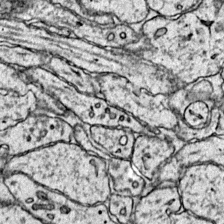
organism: Mouse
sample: Primary visual cortex